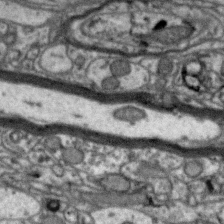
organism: Zebra finch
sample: Brain